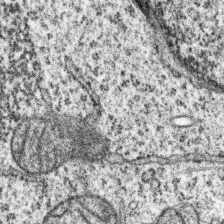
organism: Human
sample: HeLa cells